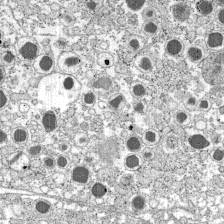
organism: C57BL Mouse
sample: Pancreatic islet